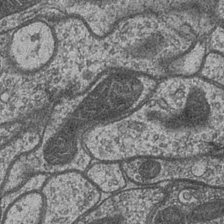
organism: Drosophila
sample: Optic medulla